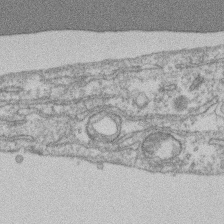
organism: Mouse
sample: T cell stromal cell synapse